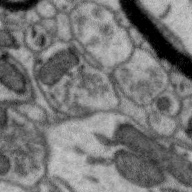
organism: Zebra finch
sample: Brain